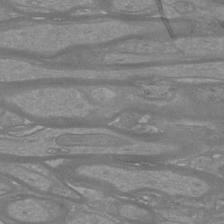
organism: Mouse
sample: Cortical neurons